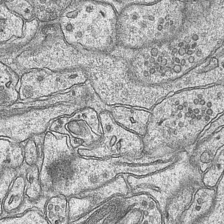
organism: Mouse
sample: CA1 Hippocampus